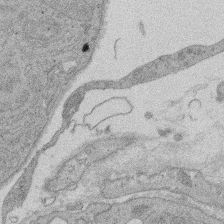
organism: Rat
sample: Salivary granule